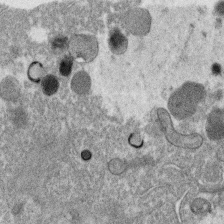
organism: C. elegans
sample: C. elegans oocyte; sperm cells